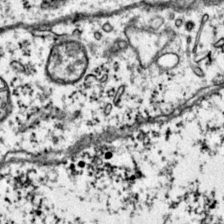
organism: Mouse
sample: Primary visual cortex